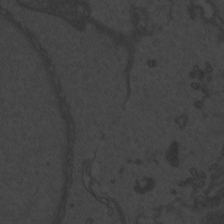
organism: Zebrafish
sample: Macrophage infected with Toxoplasma gondii